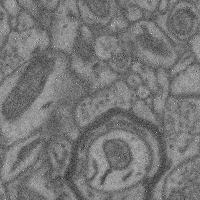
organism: Mouse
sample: Cerebral cortex